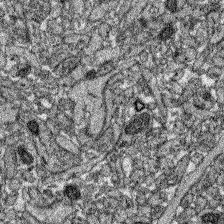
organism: Zebrafish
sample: Larval olfactory bulb